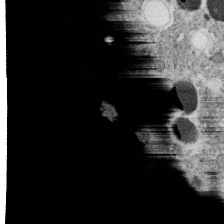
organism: C. elegans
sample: C. elegans oocyte; sperm cells